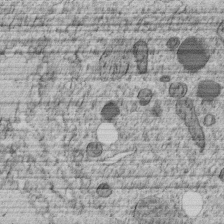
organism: C. elegans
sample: C. elegans embryo early stage